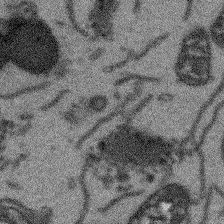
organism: Arabidopsis thaliana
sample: Root tip